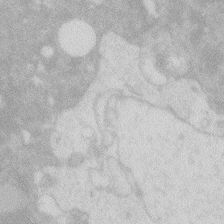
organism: Zebrafish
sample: Macrophage